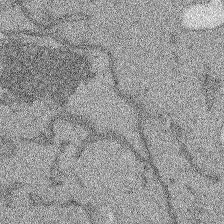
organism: Human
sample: HeLa cells